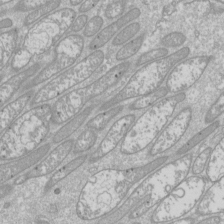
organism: Drosophila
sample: Cell division; meiosis; drosophila spermatocytes